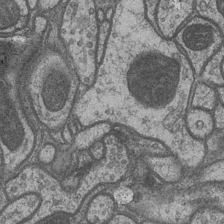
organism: Drosophila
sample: Optic medulla